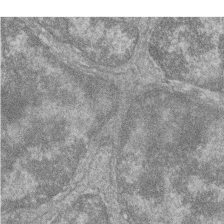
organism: Zebrafish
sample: Cilia; retinal pigment epithelium